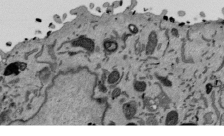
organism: Mouse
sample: ED-1 cell nuclei; centrioles